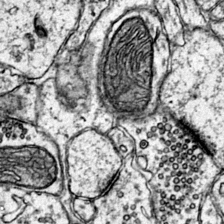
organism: Mouse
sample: Primary visual cortex